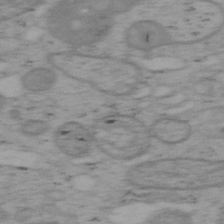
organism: Mouse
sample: OT-I killer T cells with ID8 ovarian cancer cells